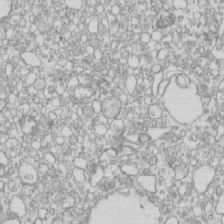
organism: Mouse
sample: Macrophages